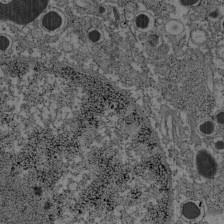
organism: C57BL Mouse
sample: Pancreatic islet